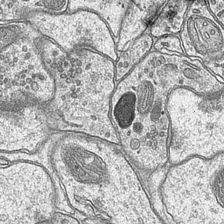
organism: Mouse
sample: CA1 Hippocampus